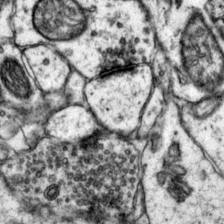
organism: Mouse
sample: Primary visual cortex